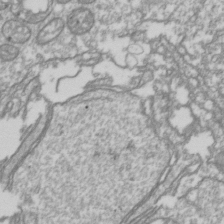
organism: Drosophila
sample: Cell division; meiosis; drosophila spermatocytes